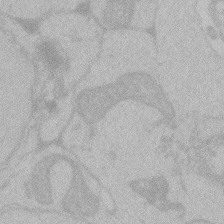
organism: Zebrafish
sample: Macrophage infected with Toxoplasma gondii